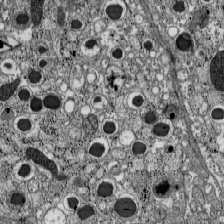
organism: C57BL Mouse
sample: Pancreatic islet